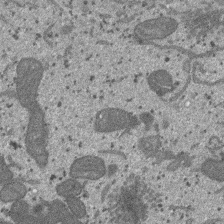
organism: Human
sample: Lung epithelial cells infected with SARS-CoV-2